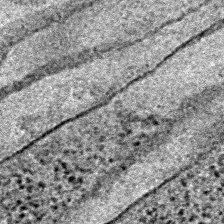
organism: E. coli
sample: E. Coli Bacteria